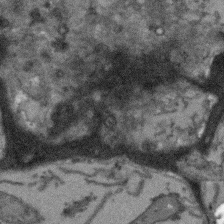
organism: Arabidopsis thaliana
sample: Root tip